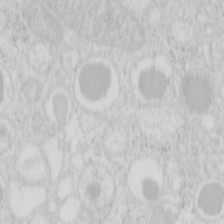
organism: Mouse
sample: Pancreas